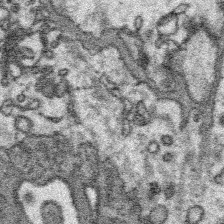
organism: Platynereis dumerilii